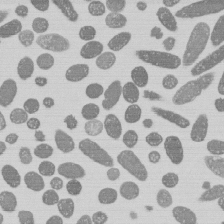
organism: E. coli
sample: Bacterial nucleoid